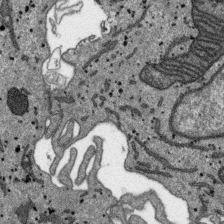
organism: Human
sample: Lung epithelial cells, uninfected (mock) control